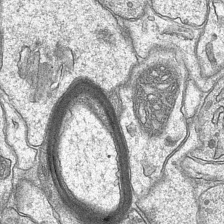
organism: Mouse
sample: CA1 Hippocampus